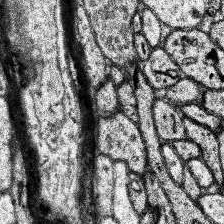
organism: Human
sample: Temporal Lobe